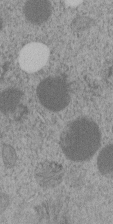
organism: C. elegans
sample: C. elegans embryo early stage